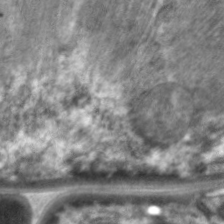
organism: C. elegans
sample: Pharynx